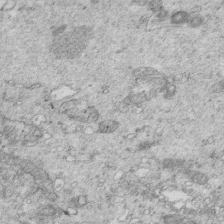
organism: Mouse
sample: Multiciliated cells